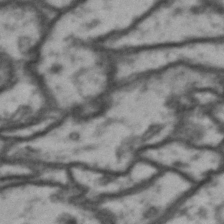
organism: Drosophila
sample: Brain